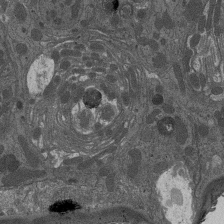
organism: Drosophila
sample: Antenna